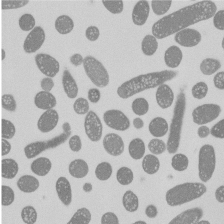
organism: E. coli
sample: Bacterial nucleoid